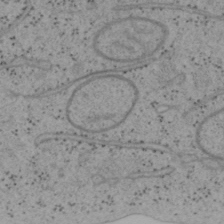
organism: Human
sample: HeLa cells